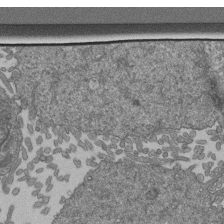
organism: Human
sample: Retinal organoid Rod and Cone cells